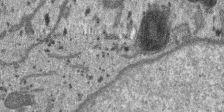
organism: Human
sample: Lung epithelial cells infected with SARS-CoV-2